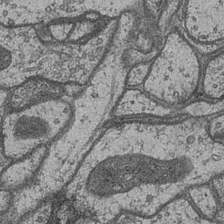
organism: Drosophila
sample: Optic medulla